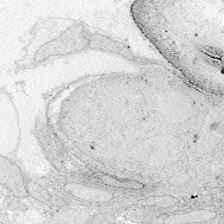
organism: Zebrafish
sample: Whole-Brain